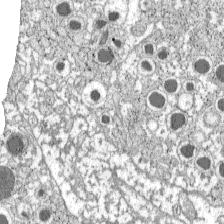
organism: C57BL Mouse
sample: Pancreatic islet